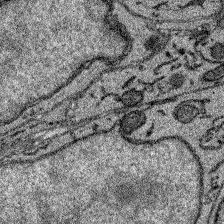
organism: Zebrafish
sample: Larval olfactory bulb